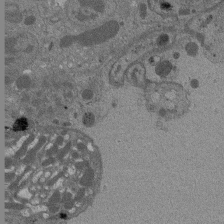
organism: Drosophila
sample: Antenna